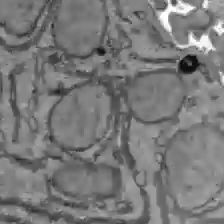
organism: C57BL Mouse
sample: Liver